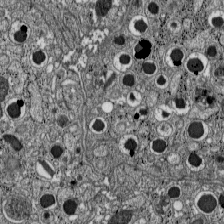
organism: C57BL Mouse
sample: Pancreatic islet